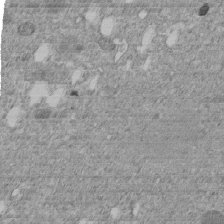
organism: C. elegans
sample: C. elegans embryo early stage